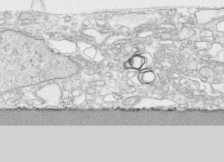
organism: Human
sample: CRL-1474